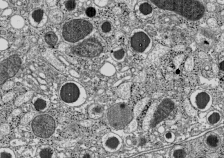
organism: C57BL Mouse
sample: Pancreatic islet